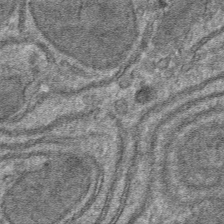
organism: Mouse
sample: Mouse hepatocytes